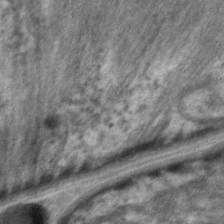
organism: C. elegans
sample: Pharynx